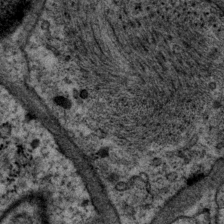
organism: P. pacificus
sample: Pharynx